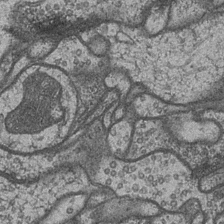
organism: Drosophila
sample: Optic medulla